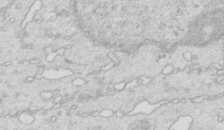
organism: Mouse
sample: Multiciliated cells